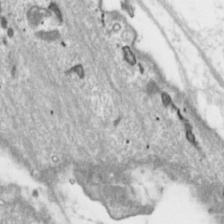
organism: Toxoplasma gondii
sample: Parasites in a vacuole inside a host cell